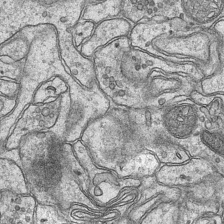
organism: Mouse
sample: CA1 Hippocampus